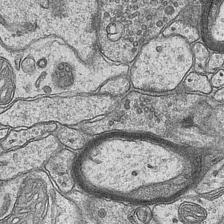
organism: Mouse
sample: CA1 Hippocampus